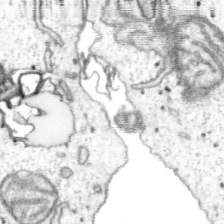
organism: Human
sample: HeLa cells